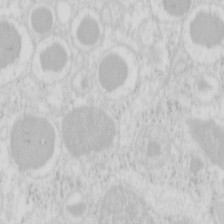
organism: Mouse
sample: Pancreas